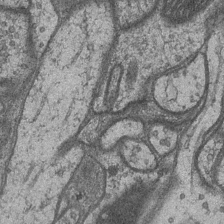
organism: Drosophila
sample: Optic medulla